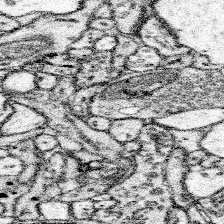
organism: Mouse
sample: Somatosensory cortex neuropil